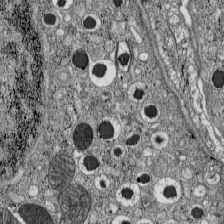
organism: C57BL Mouse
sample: Pancreatic islet